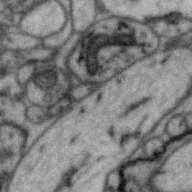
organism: Zebra finch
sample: Brain